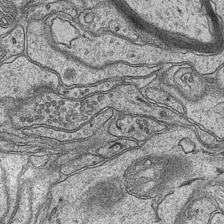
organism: Mouse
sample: CA1 Hippocampus